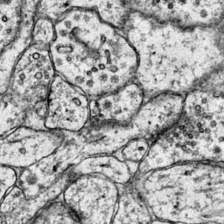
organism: Mouse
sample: Primary visual cortex